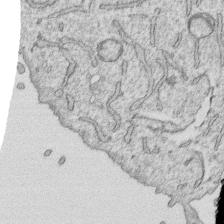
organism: Human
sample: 1205lu cells